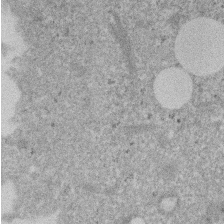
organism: Mouse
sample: Dividing mouse embryo 1 cell stage